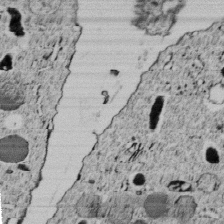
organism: C. elegans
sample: C. elegans embryo early stage